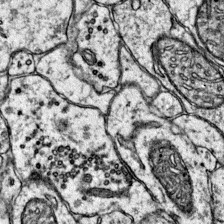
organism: Mouse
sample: Primary visual cortex